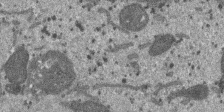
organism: Human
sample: Lung epithelial cells infected with SARS-CoV-2